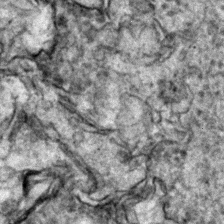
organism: Zebrafish